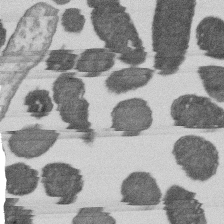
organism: E. coli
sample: Bacterial nucleoid